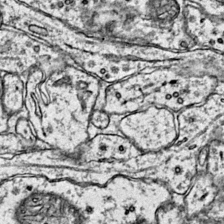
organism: Mouse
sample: Primary visual cortex